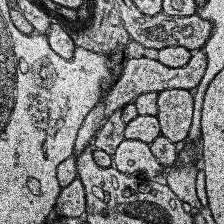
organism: Human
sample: Temporal Lobe